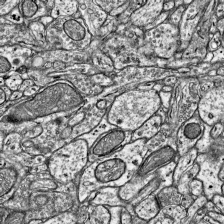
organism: Mouse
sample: Visual Cortex